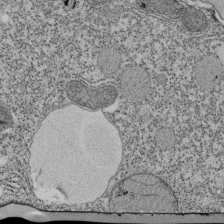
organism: Tetrahymena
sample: Cilia in tetrahymena